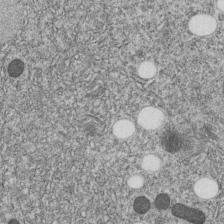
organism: C. elegans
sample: C. elegans embryo early stage